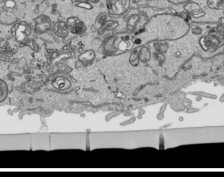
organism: Human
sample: Mitochondria in HCT116 cells